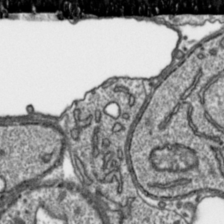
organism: Toxoplasma gondii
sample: Parasites in a vacuole inside a host cell